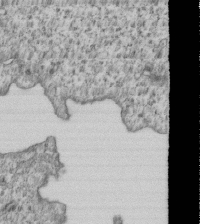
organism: Human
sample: MDA-MB-231 cells